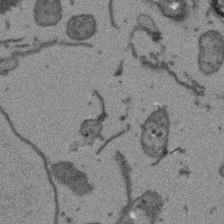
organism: Arabidopsis thaliana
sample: Root tip